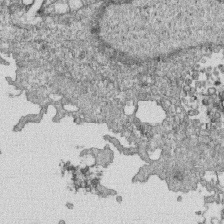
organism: Human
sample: HeLa cell HIV synapse